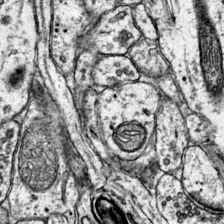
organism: Mouse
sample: Primary visual cortex